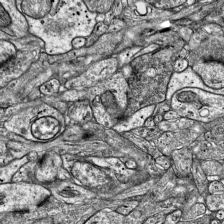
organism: Mouse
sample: Visual Cortex